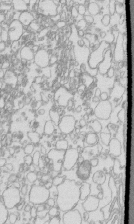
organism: Mouse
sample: Macrophages